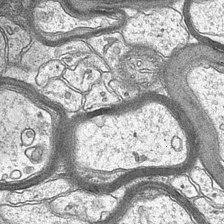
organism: Mouse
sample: CA1 Hippocampus